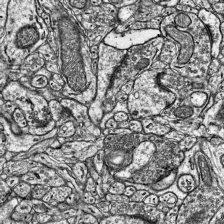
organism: Mouse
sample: Visual Cortex